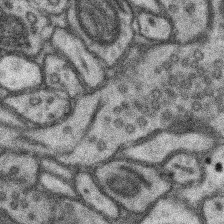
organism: Mouse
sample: Somatosensory cortex neuropil